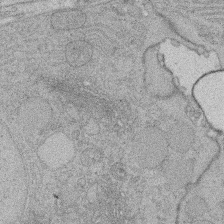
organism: Rat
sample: Salivary granule